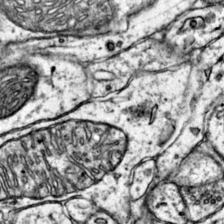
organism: Mouse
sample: Primary visual cortex